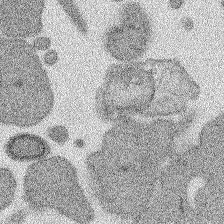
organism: Human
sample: HeLa cells